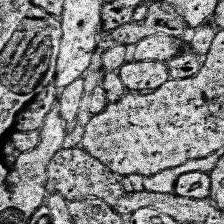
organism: Human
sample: Temporal Lobe